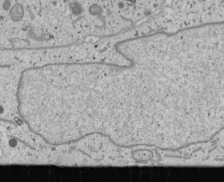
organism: Human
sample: Mitochondria in U2OS cells